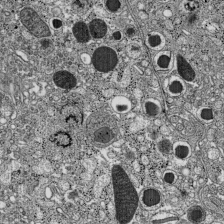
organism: C57BL Mouse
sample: Pancreatic islet